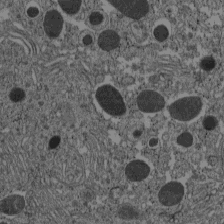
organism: C57BL Mouse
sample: Pancreatic islet